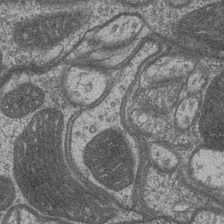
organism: Drosophila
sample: Optic medulla